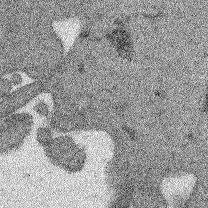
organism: Human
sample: HeLa cells